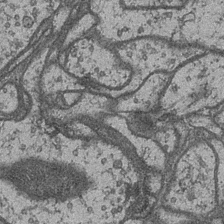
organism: Drosophila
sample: Optic medulla